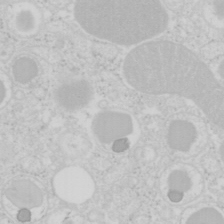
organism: Mouse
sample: Pancreas